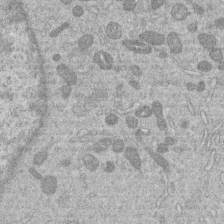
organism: Human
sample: Macrophage cells